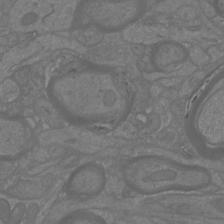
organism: Mouse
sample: Cortical neurons